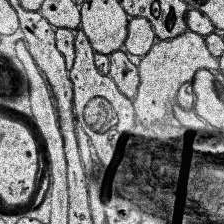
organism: Human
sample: Temporal Lobe